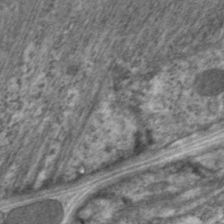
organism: C. elegans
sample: Pharynx